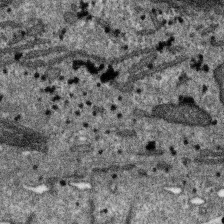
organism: Human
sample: Lung epithelial cells infected with SARS-CoV-2